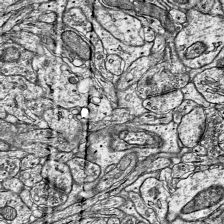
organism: Mouse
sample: Visual Cortex